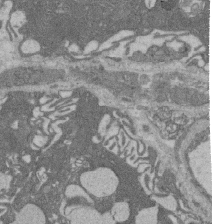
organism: Rat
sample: Salivary granule